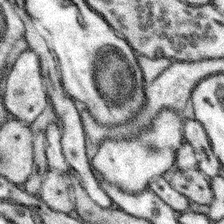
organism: Mouse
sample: Somatosensory cortex neuropil